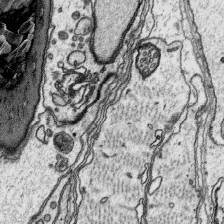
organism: Platynereis dumerilii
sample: Parapodia